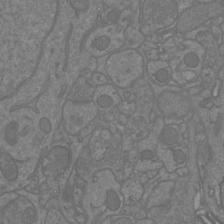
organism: Mouse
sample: Cortical neurons